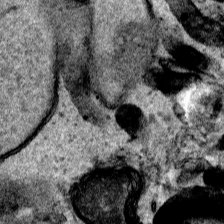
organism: Human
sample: Mitochondria in HCT116 cells